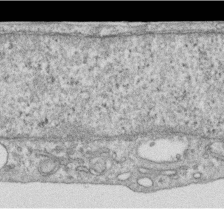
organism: Human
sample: Centriole in RPE cells